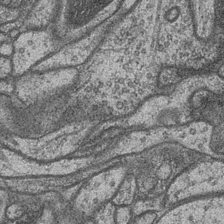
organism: Drosophila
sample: Optic medulla